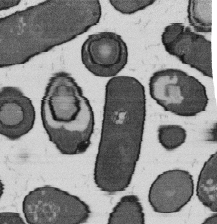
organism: B. subtilis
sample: Bacterial spore